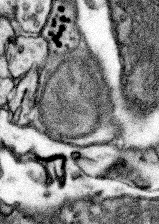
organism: Mouse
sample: Somatosensory cortex neuropil